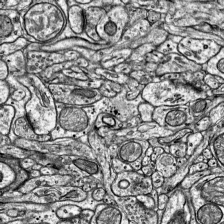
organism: Mouse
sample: Visual Cortex